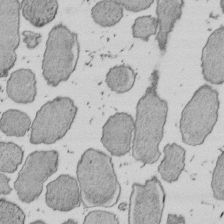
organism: E. coli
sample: Bacterial nucleoid